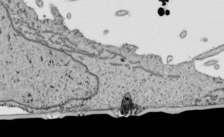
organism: Human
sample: Mitochondria in HCT116 cells